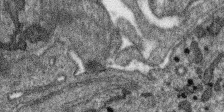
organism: Human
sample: Lung epithelial cells infected with SARS-CoV-2